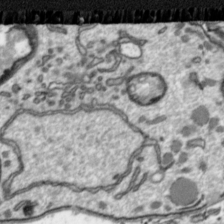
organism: Toxoplasma gondii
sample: Parasites in a vacuole inside a host cell